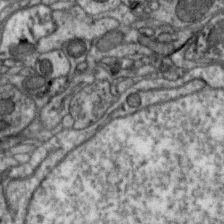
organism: Zebra finch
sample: Brain